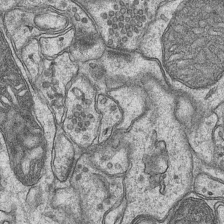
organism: Mouse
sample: CA1 Hippocampus